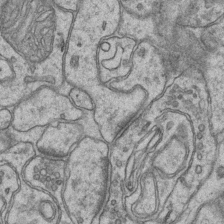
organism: Mouse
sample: CA1 Hippocampus